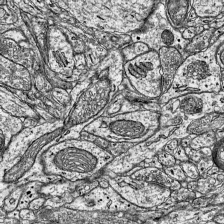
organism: Mouse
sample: Visual Cortex